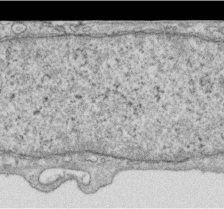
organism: Human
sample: Centriole in RPE cells